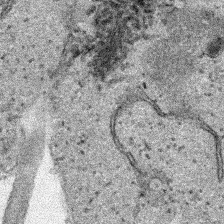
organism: Human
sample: Mitochondria in HCT116 cells